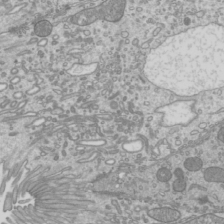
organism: Mouse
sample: Cilia; mouse epididymis